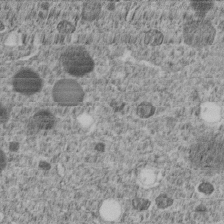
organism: C. elegans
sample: C. elegans embryo early stage